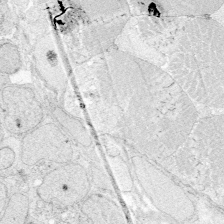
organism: Zebrafish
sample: Whole-Brain